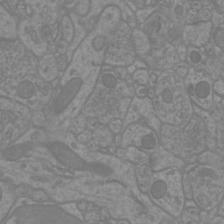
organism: Mouse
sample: Cortical neurons